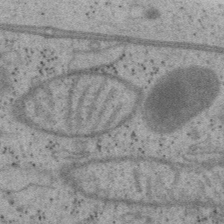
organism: Human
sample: HeLa cells